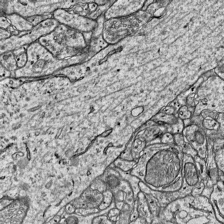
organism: Mouse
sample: Visual Cortex